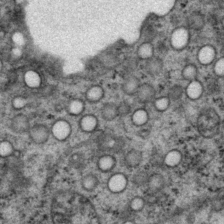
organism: P. pacificus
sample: Pharynx